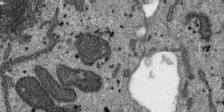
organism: Human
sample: Lung epithelial cells, uninfected (mock) control